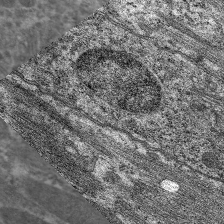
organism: C. elegans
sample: Pharynx